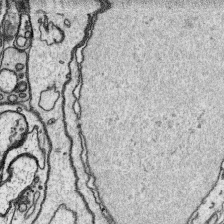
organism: Platynereis dumerilii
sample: Parapodia